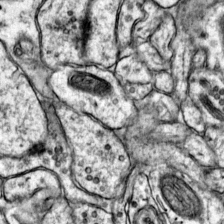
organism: Mouse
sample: Primary visual cortex